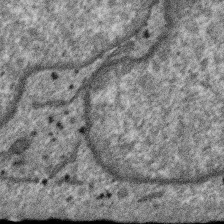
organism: Human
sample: Lung epithelial cells infected with SARS-CoV-2